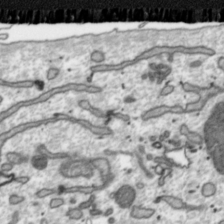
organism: Toxoplasma gondii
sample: Parasites in a vacuole inside a host cell